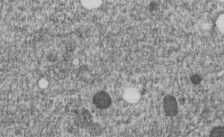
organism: C. elegans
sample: C. elegans embryo early stage